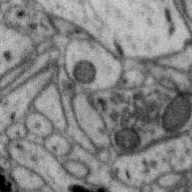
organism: Zebra finch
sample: Brain